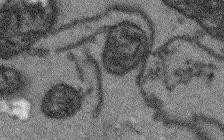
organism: Arabidopsis thaliana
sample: Root tip